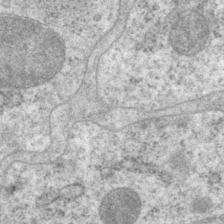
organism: P. pacificus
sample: Pharynx